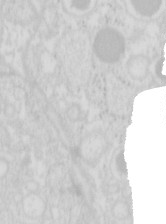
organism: Mouse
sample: Pancreas